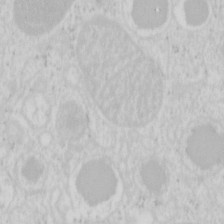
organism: Mouse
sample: Pancreas